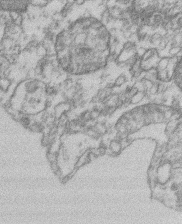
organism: Mouse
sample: T cell stromal cell synapse